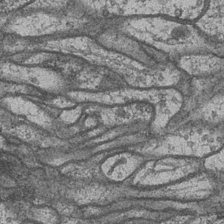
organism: Drosophila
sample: Optic medulla